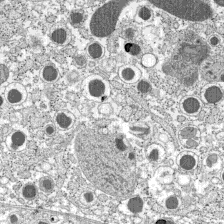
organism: C57BL Mouse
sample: Pancreatic islet